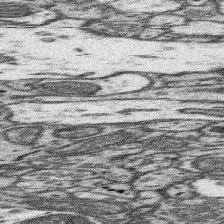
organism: Mouse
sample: Somatosensory cortex neuropil